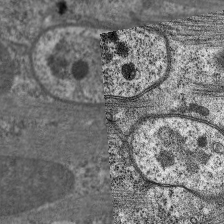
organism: C. elegans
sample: Pharynx